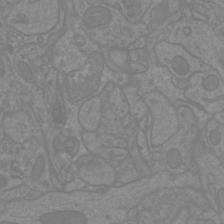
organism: Mouse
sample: Cortical neurons